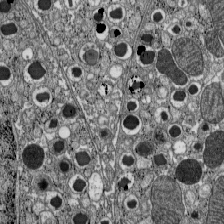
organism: C57BL Mouse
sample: Pancreatic islet